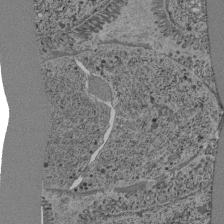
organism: C. elegans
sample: C. elegans pharynx